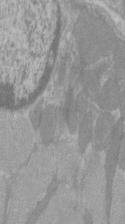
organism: C57BL Mouse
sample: Tibialis anterior muscle cell